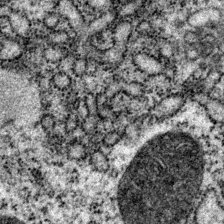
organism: P. pacificus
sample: Pharynx